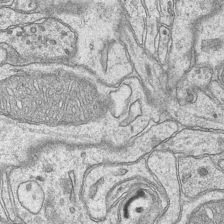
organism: Mouse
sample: CA1 Hippocampus